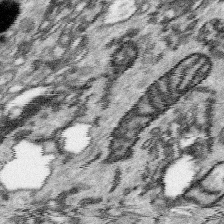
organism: Human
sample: HeLa cells